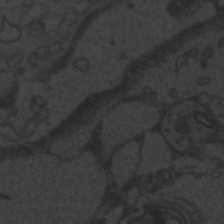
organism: Zebrafish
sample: Macrophage infected with Toxoplasma gondii